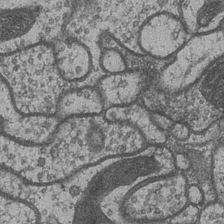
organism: Drosophila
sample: Optic medulla